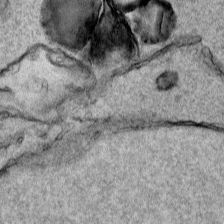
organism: Human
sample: Mitochondria in HCT116 cells